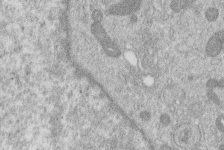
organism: Human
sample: Macrophage cells